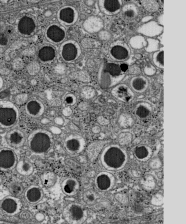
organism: C57BL Mouse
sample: Pancreatic islet